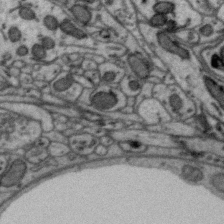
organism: Zebra finch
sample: Brain